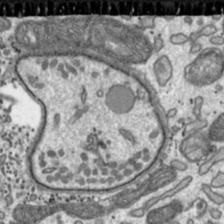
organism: Toxoplasma gondii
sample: Parasites in a vacuole inside a host cell